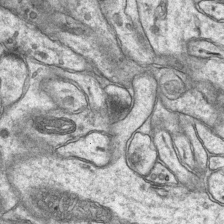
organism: Mouse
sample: CA1 Hippocampus